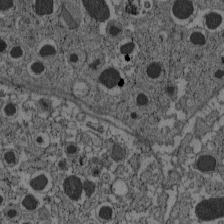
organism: C57BL Mouse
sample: Pancreatic islet